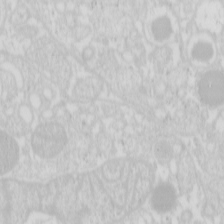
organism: Mouse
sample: Pancreas